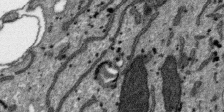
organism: Human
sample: Lung epithelial cells, uninfected (mock) control